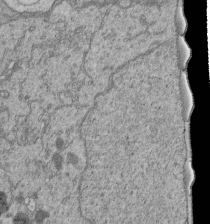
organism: Human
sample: Retinal organoid Rod and Cone cells